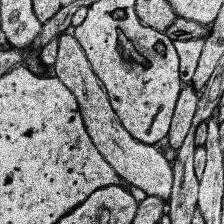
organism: Human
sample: Temporal Lobe